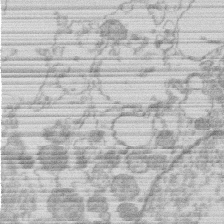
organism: Human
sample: Macrophage cells